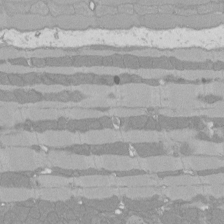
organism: Rat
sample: Left ventricle